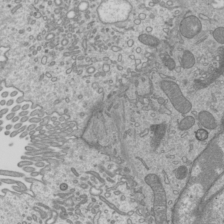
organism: Mouse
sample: Cilia; mouse epididymis